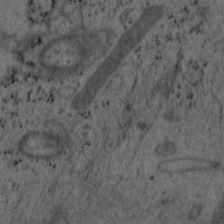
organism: Human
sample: HeLa cells